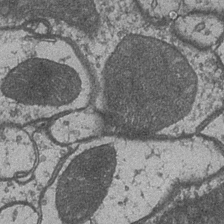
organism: Drosophila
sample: Optic medulla